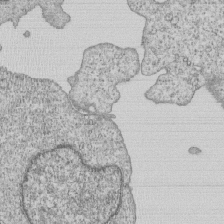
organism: Human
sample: MDA-MB-231 cells